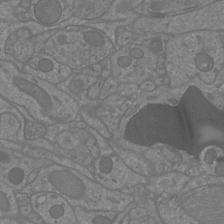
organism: Mouse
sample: Cortical neurons